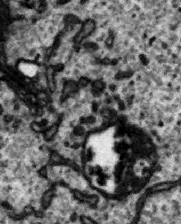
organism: Human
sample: HeLa cells